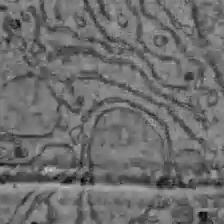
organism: C57BL Mouse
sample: Liver